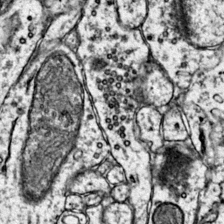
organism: Mouse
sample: Primary visual cortex